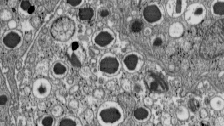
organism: C57BL Mouse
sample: Pancreatic islet